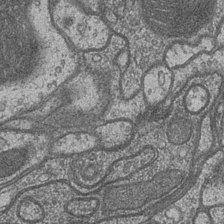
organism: Drosophila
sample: Optic medulla